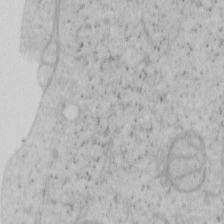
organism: Human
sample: HeLa cells